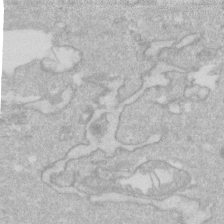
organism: Human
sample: Fibroblast cells